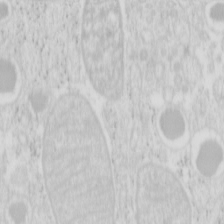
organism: Mouse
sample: Pancreas